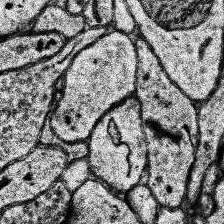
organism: Human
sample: Temporal Lobe